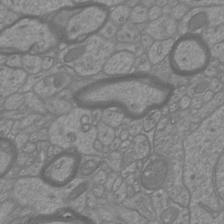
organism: Mouse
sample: Cortical neurons